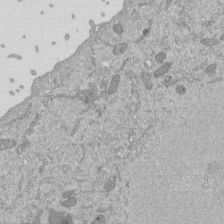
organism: Mouse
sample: ED-1 cell nuclei; centrioles